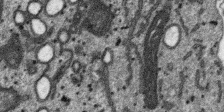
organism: Human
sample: Lung epithelial cells infected with SARS-CoV-2